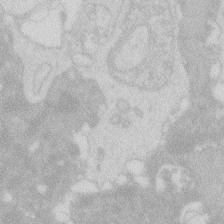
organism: Zebrafish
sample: Macrophage